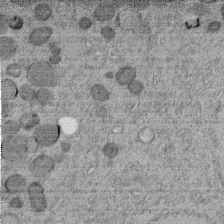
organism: C. elegans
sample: C. elegans embryo early stage